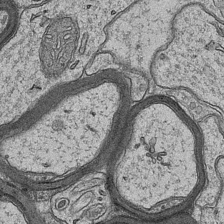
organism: Mouse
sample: CA1 Hippocampus